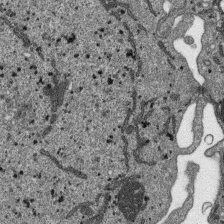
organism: Human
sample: Lung epithelial cells infected with SARS-CoV-2